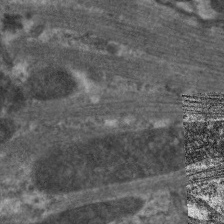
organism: C. elegans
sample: Pharynx